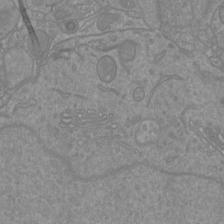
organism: Mouse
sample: Cortical neurons